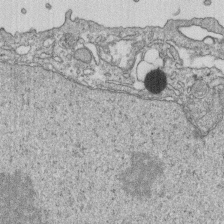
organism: Human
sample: HeLa cell HIV synapse